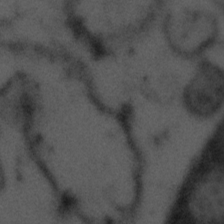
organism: Tuwongella immobilis